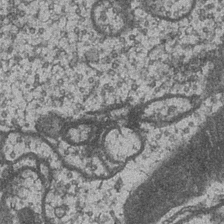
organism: Drosophila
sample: Optic medulla